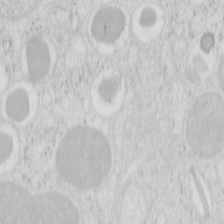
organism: Mouse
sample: Pancreas